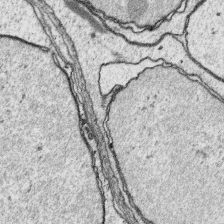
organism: Platynereis dumerilii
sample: Parapodia